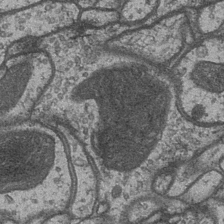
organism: Drosophila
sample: Optic medulla